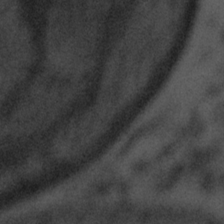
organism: Tuwongella immobilis